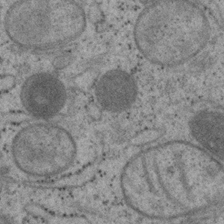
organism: Human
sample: HeLa cells